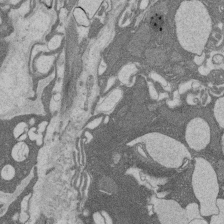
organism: Rat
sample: Salivary granule